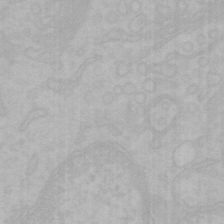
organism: Mouse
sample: Choroid plexus